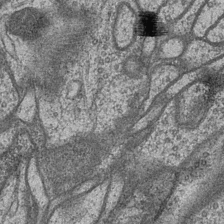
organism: Drosophila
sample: Optic medulla